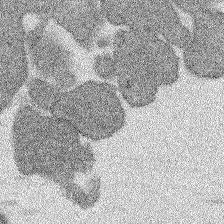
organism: Human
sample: HeLa cells